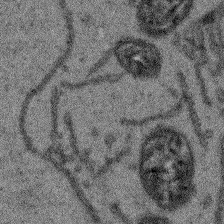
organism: Arabidopsis thaliana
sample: Root tip